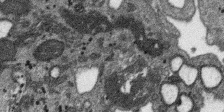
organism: Human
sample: Lung epithelial cells infected with SARS-CoV-2